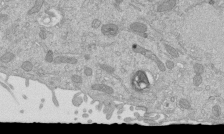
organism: Mouse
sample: ED-1 cell nuclei; centrioles